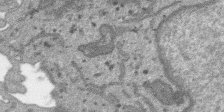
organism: Human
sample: Lung epithelial cells infected with SARS-CoV-2